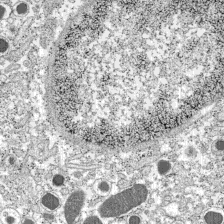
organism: C57BL Mouse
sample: Pancreatic islet